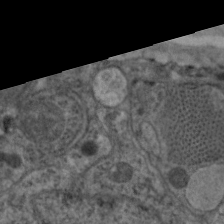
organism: C. elegans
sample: Pharynx